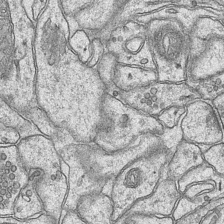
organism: Mouse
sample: CA1 Hippocampus